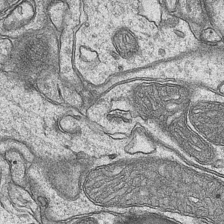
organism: Mouse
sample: CA1 Hippocampus